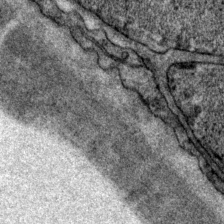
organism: P. pacificus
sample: Pharynx